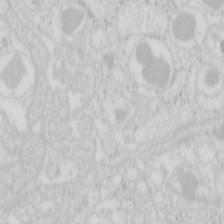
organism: Mouse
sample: Pancreas